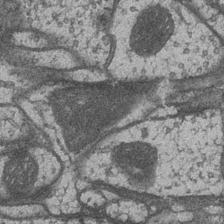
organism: Drosophila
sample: Optic medulla